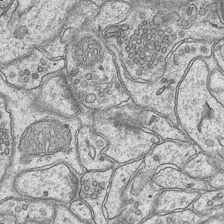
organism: Mouse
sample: CA1 Hippocampus